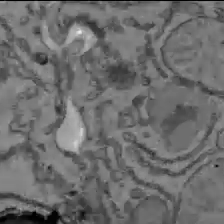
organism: C57BL Mouse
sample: Liver